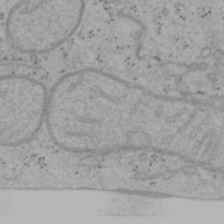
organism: Human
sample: HeLa cells